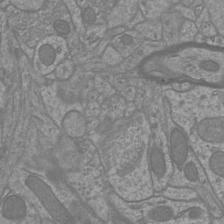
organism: Mouse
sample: Cortical neurons